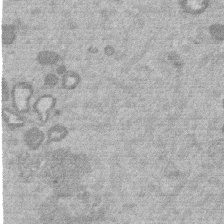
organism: Mouse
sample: Dividing mouse embryo 1 cell stage